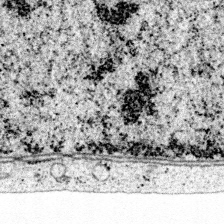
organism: Human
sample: HeLa cells